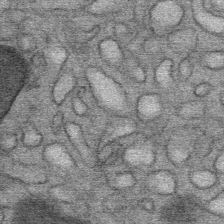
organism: Mouse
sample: Mouse Salivary gland